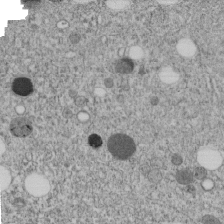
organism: C. elegans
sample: C. elegans embryo early stage